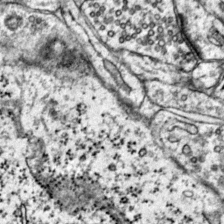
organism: Mouse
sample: Primary visual cortex